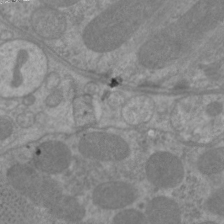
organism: C. elegans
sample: Pharynx